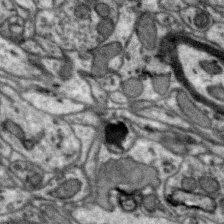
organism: Zebra finch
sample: Brain